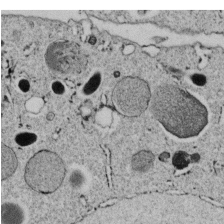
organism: C. elegans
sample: C. elegans embryo early stage